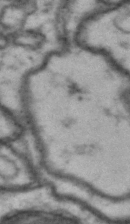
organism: Drosophila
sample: Brain